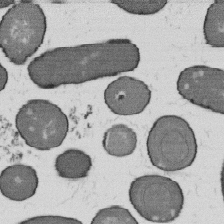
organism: B. subtilis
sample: Bacterial spore